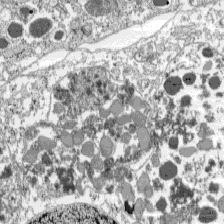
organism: C57BL Mouse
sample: Pancreatic islet